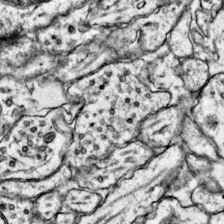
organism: Mouse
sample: Primary visual cortex